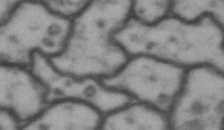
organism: Drosophila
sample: Brain